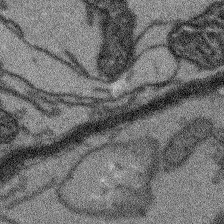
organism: Arabidopsis thaliana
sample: Root tip